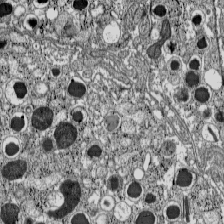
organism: C57BL Mouse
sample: Pancreatic islet